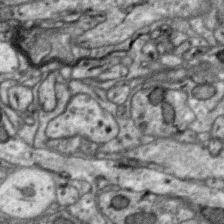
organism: Zebra finch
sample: Brain